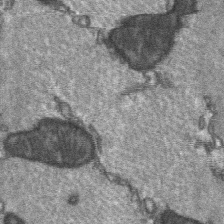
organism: C57BL Mouse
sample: Soleus